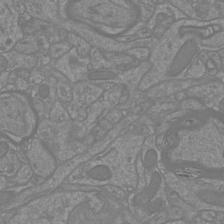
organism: Mouse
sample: Cortical neurons